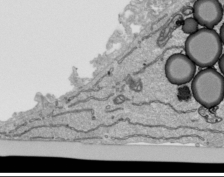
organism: Human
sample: Mitochondria in HCT116 cells